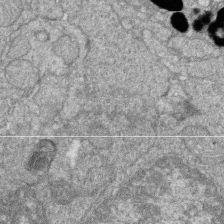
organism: Zebrafish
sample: Cilia; retinal pigment epithelium